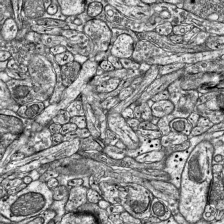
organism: Mouse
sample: Visual Cortex